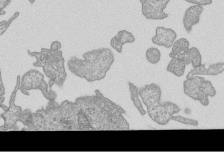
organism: Human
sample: MDA-MB-231 cells